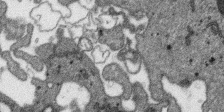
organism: Human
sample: Lung epithelial cells infected with SARS-CoV-2